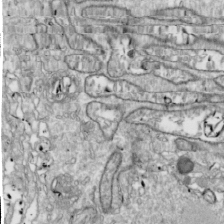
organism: Drosophila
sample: Cell division; meiosis; drosophila spermatocytes